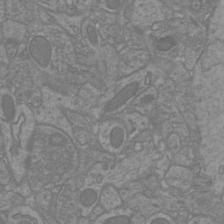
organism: Mouse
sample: Cortical neurons